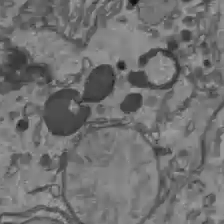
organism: C57BL Mouse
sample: Liver